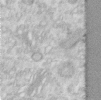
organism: Human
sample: Centriole in RPE cells